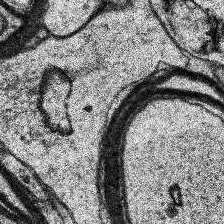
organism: Human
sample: Temporal Lobe